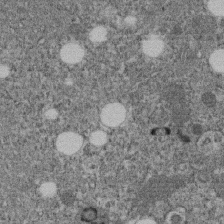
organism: C. elegans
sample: C. elegans embryo early stage